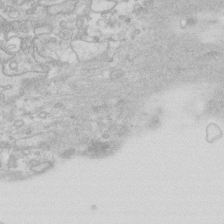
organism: Human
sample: Fibroblast cells